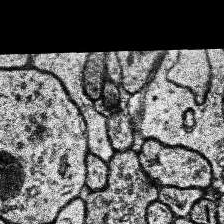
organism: Human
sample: Temporal Lobe